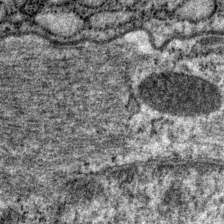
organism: P. pacificus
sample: Pharynx